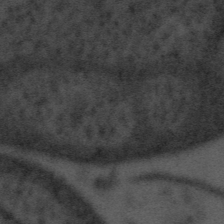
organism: Tuwongella immobilis